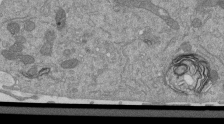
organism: Mouse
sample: ED-1 cell nuclei; centrioles